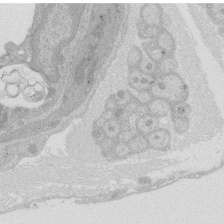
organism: Rat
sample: Salivary granule